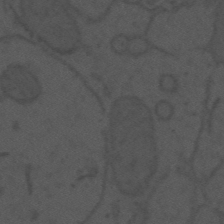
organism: Mouse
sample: Suprachiasmatic nucleus